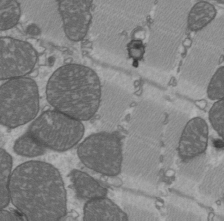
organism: C57BL Mouse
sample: Heart